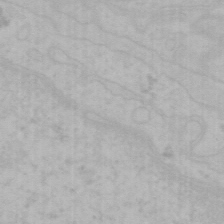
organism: Mouse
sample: Choroid plexus